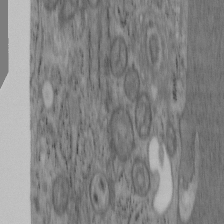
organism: Human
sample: HeLa cells